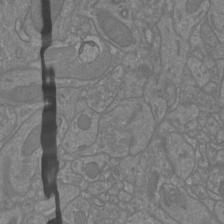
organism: Mouse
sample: Cortical neurons